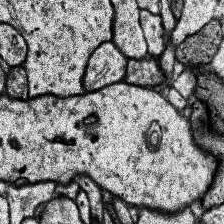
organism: Human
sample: Temporal Lobe